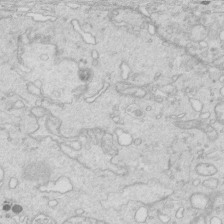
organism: Mouse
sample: Multiciliated cells